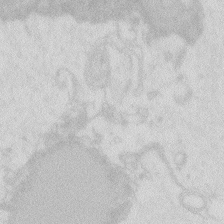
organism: Zebrafish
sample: Macrophage